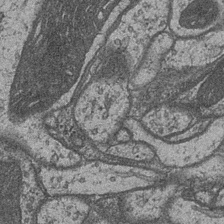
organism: Drosophila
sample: Optic medulla